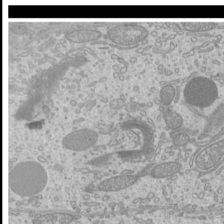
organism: Mouse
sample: Cilia; mouse epididymis